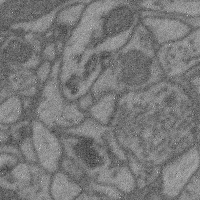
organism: Mouse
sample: Cerebral cortex